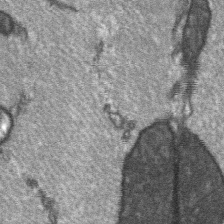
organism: C57BL Mouse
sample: Soleus